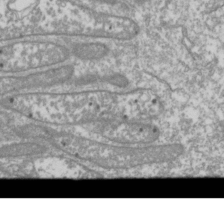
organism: Drosophila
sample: Cell division; meiosis; drosophila spermatocytes